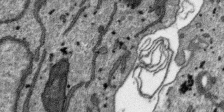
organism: Human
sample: Lung epithelial cells, uninfected (mock) control